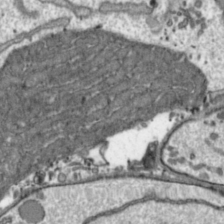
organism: Toxoplasma gondii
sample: Parasites in a vacuole inside a host cell